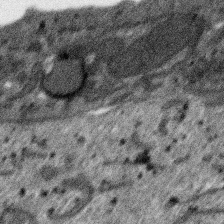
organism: Human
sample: Lung epithelial cells infected with SARS-CoV-2